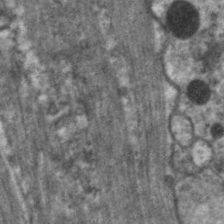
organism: C. elegans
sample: Pharynx